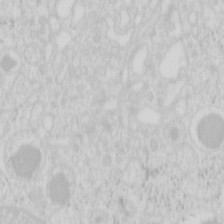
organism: Mouse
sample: Pancreas